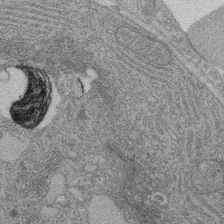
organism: Rat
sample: Salivary granule